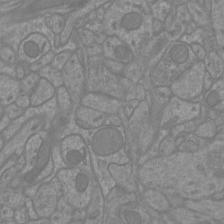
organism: Mouse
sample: Cortical neurons